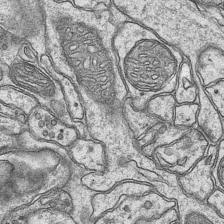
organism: Mouse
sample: CA1 Hippocampus